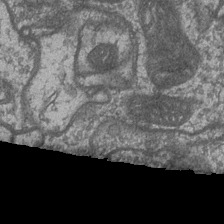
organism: Drosophila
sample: Optic medulla